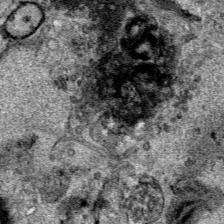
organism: Human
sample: Mitochondria in HCT116 cells